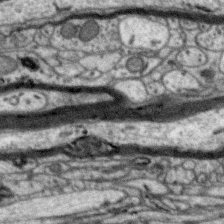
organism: Zebra finch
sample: Brain